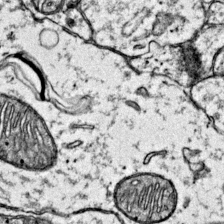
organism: Mouse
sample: Primary visual cortex